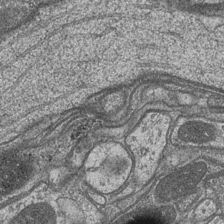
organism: Drosophila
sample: Optic medulla